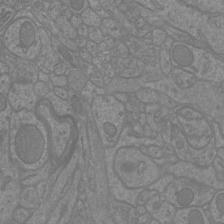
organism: Mouse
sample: Cortical neurons